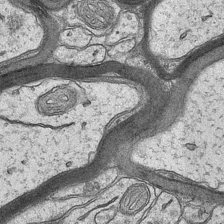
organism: Mouse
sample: CA1 Hippocampus